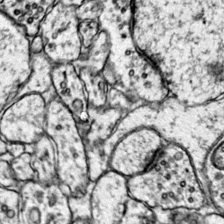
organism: Mouse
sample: Primary visual cortex